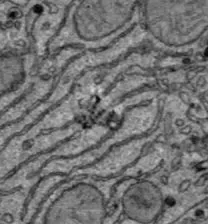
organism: C57BL Mouse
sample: Liver